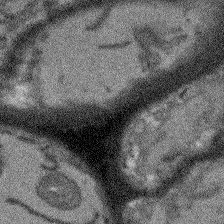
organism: Arabidopsis thaliana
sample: Root tip